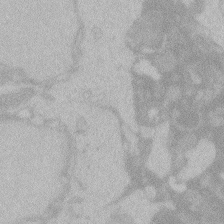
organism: Zebrafish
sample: Macrophage infected with Toxoplasma gondii